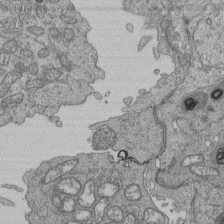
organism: Human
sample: Retinal organoid Rod and Cone cells